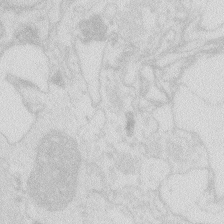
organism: Zebrafish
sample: Macrophage